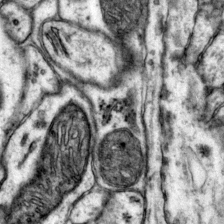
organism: Mouse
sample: Primary visual cortex